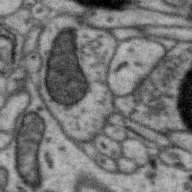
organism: Zebra finch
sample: Brain